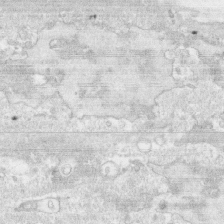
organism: Human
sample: CRL-1474